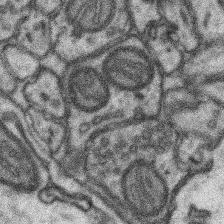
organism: Mouse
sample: Somatosensory cortex neuropil